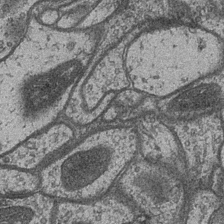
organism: Drosophila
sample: Optic medulla